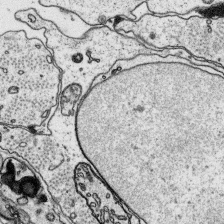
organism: Platynereis dumerilii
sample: Parapodia